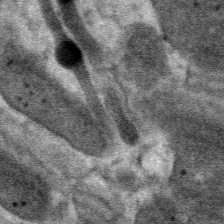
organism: Mouse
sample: Mouse Salivary gland